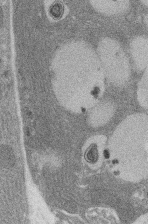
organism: Rat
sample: Salivary granule